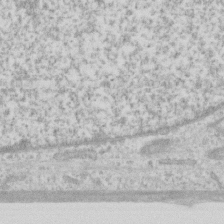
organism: Human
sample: Fibroblast cells